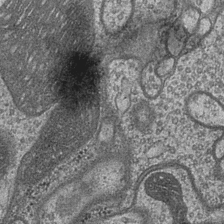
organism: Drosophila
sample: Optic medulla